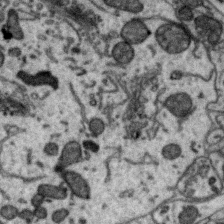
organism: Zebra finch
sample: Brain